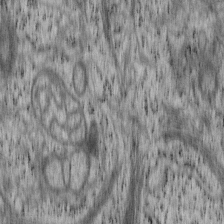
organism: Human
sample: HeLa cells